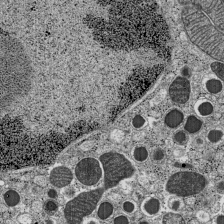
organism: C57BL Mouse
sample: Pancreatic islet